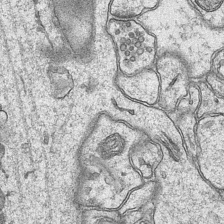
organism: Mouse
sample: CA1 Hippocampus